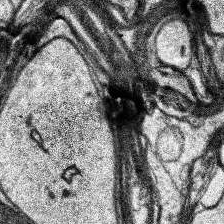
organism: Human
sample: Temporal Lobe